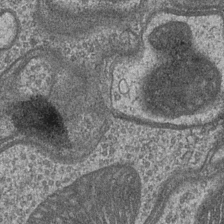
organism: Drosophila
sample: Optic medulla